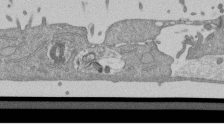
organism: Mouse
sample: ED-1 cell nuclei; centrioles